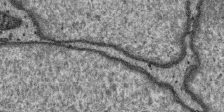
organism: Human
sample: Lung epithelial cells, uninfected (mock) control